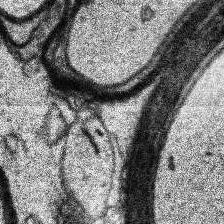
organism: Human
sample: Temporal Lobe